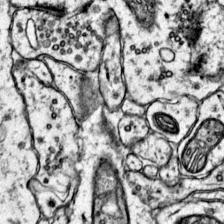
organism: Mouse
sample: Primary visual cortex